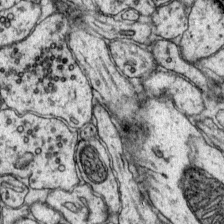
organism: Mouse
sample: Primary visual cortex